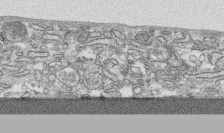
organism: Human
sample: CRL-1474